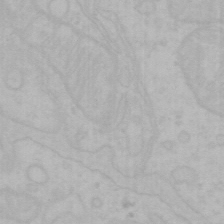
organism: Mouse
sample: Choroid plexus